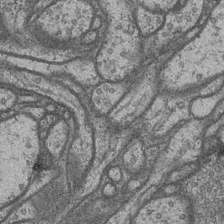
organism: Drosophila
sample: Optic medulla